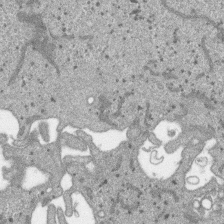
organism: Human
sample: Lung epithelial cells infected with SARS-CoV-2